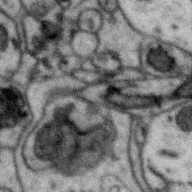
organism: Zebra finch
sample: Brain